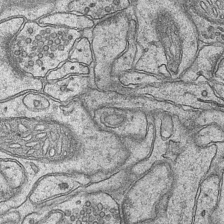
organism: Mouse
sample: CA1 Hippocampus